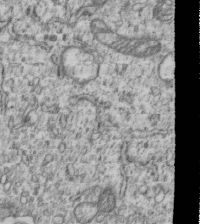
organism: Human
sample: MDA-MB-231 cells